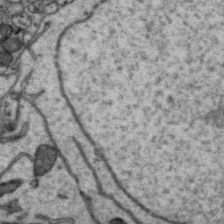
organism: Zebra finch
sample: Brain